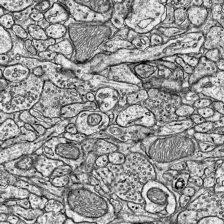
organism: Mouse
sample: Visual Cortex